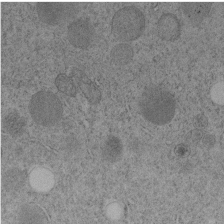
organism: C. elegans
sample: C. elegans embryo early stage